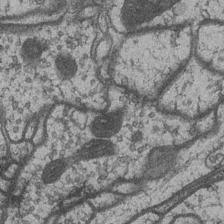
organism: Drosophila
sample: Optic medulla